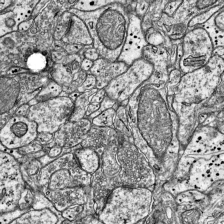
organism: Mouse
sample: Visual Cortex